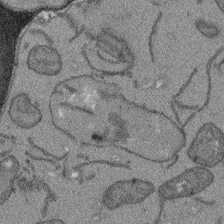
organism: Arabidopsis thaliana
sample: Root tip